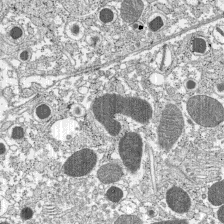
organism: C57BL Mouse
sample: Pancreatic islet